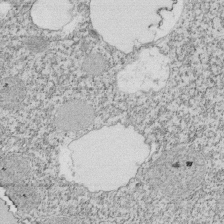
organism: Tetrahymena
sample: Cilia in tetrahymena